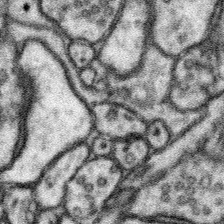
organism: Mouse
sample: Somatosensory cortex neuropil